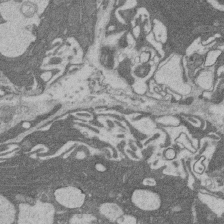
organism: Rat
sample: Salivary granule